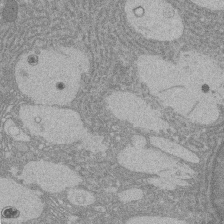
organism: Rat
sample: Salivary granule